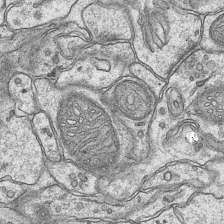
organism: Mouse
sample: CA1 Hippocampus